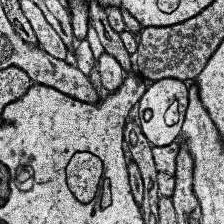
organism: Human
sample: Temporal Lobe